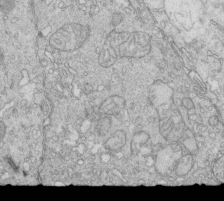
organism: Mouse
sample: Multiciliated cells